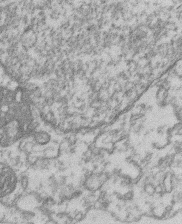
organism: Mouse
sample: T cell stromal cell synapse